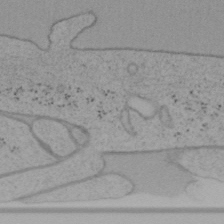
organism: Human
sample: HeLa cells